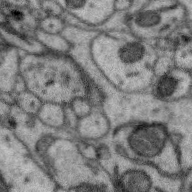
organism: Zebra finch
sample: Brain